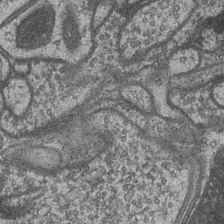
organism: Drosophila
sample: Optic medulla